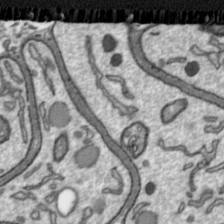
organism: Toxoplasma gondii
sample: Parasites in a vacuole inside a host cell